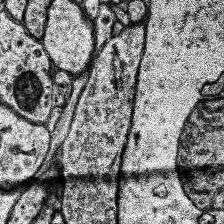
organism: Human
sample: Temporal Lobe